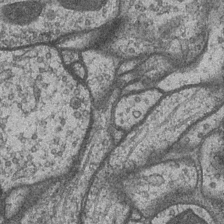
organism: Drosophila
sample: Optic medulla